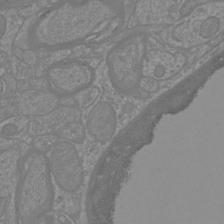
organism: Mouse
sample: Cortical neurons